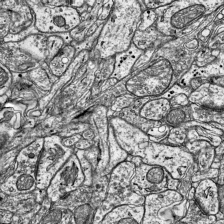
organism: Mouse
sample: Visual Cortex